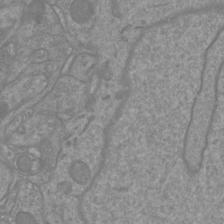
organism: Mouse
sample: Cortical neurons